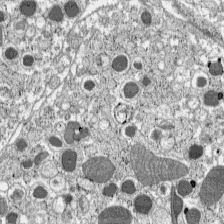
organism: C57BL Mouse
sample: Pancreatic islet